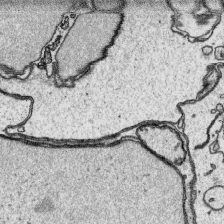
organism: Platynereis dumerilii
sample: Parapodia